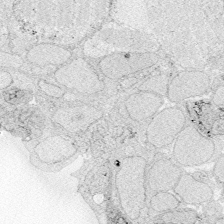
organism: Zebrafish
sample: Whole-Brain